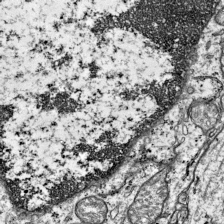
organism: Mouse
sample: Visual Cortex